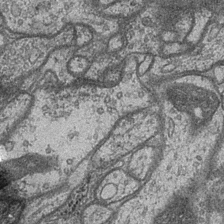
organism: Drosophila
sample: Optic medulla